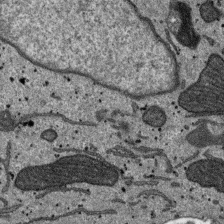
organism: Human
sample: Lung epithelial cells, uninfected (mock) control